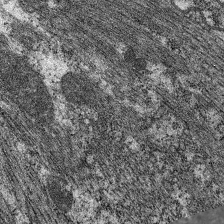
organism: C. elegans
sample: Pharynx